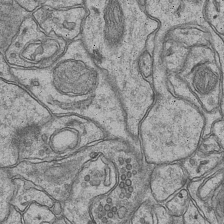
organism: Mouse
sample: CA1 Hippocampus